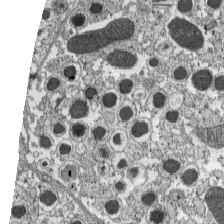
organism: C57BL Mouse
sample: Pancreatic islet